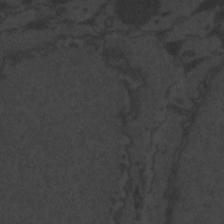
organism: Zebrafish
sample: Macrophage infected with Toxoplasma gondii